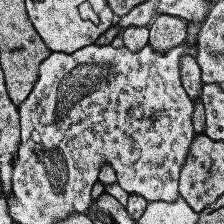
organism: Human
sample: Temporal Lobe